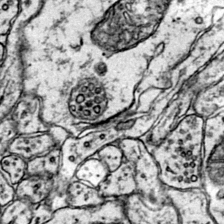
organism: Mouse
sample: Primary visual cortex